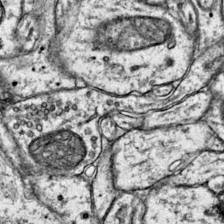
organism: Mouse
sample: Primary visual cortex